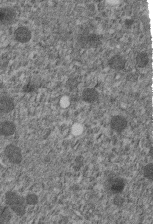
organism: C. elegans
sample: C. elegans embryo early stage